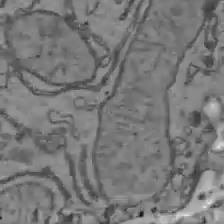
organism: C57BL Mouse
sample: Liver